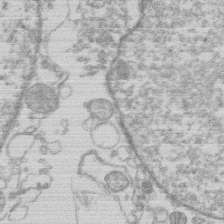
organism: Human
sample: Macrophage cells